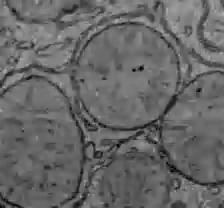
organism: C57BL Mouse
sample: Liver